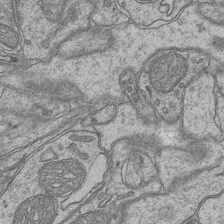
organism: Mouse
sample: CA1 Hippocampus